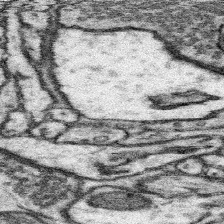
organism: Mouse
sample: Somatosensory cortex neuropil